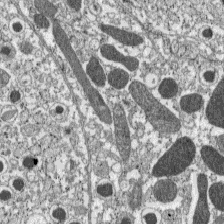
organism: C57BL Mouse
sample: Pancreatic islet